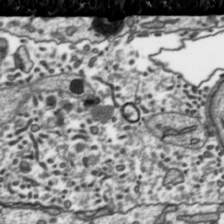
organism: Toxoplasma gondii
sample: Parasites in a vacuole inside a host cell